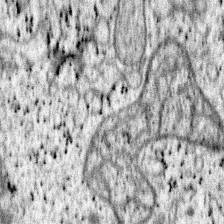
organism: Human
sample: HeLa cells